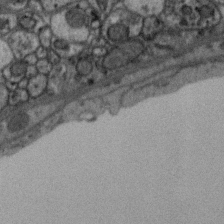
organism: Zebra finch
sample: Brain